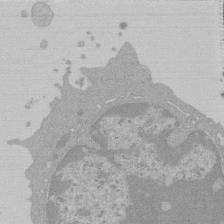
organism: Mouse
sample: Activated Pmel transgenic CD8+ T Cells